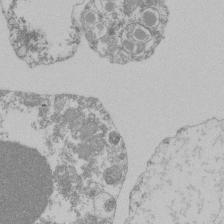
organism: Mouse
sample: Activated Pmel transgenic CD8+ T Cells